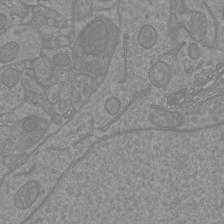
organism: Mouse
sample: Cortical neurons